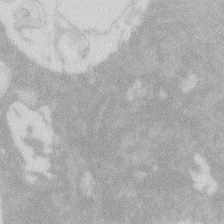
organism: Zebrafish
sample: Macrophage